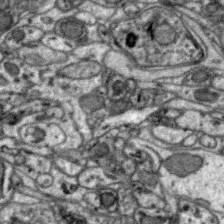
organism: Zebra finch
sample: Brain